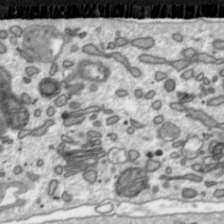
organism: Toxoplasma gondii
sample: Parasites in a vacuole inside a host cell